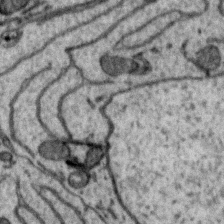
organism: Zebra finch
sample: Brain